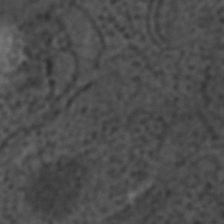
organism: C. elegans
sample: C. elegans embryo